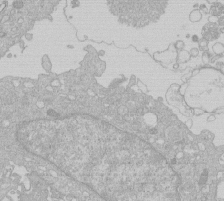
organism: Human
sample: Macrophage cells